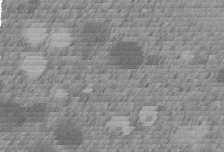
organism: C. elegans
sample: C. elegans embryo early stage